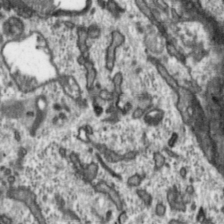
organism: Toxoplasma gondii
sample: Parasites in a vacuole inside a host cell